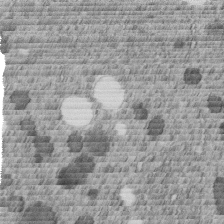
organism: C. elegans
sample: C. elegans embryo early stage